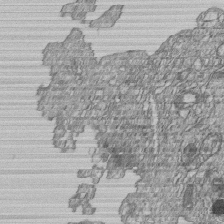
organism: Human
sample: MDA-MB-231 cells